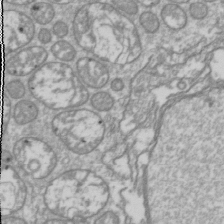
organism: Drosophila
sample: Cell division; meiosis; drosophila spermatocytes